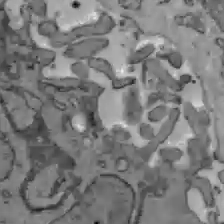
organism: C57BL Mouse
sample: Liver